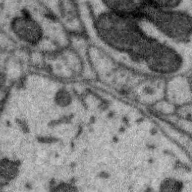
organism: Zebra finch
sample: Brain